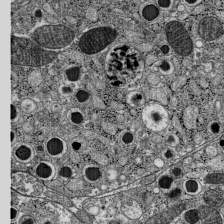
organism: C57BL Mouse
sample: Pancreatic islet